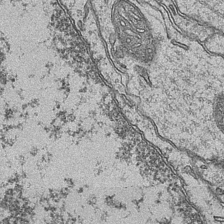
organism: Mouse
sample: CA1 Hippocampus